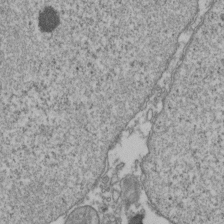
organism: Human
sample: Activated Jurkat CD4+ T cells